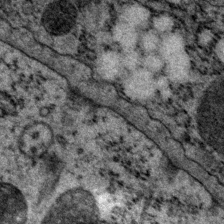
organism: P. pacificus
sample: Pharynx